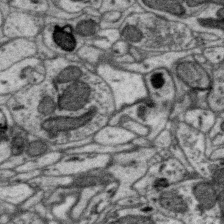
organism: Zebra finch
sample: Brain